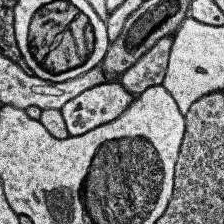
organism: Human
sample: Temporal Lobe